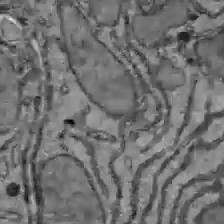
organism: C57BL Mouse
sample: Liver